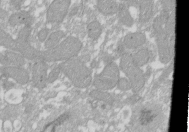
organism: Xenopus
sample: Cilia; centrioles in frog embryo cells